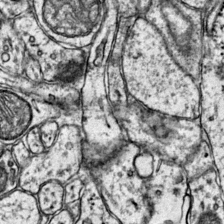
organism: Mouse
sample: Primary visual cortex